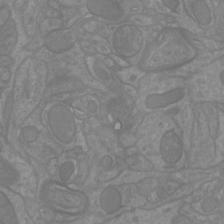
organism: Mouse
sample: Cortical neurons